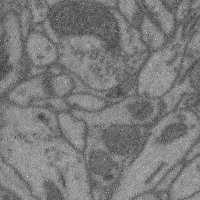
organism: Mouse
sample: Cerebral cortex